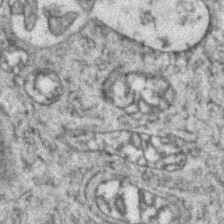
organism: Zebrafish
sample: Zebrafish embryo